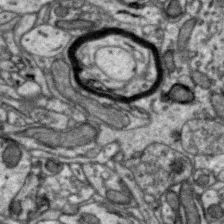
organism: Zebra finch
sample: Brain